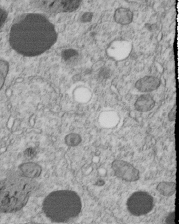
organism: C. elegans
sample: C. elegans embryo early stage